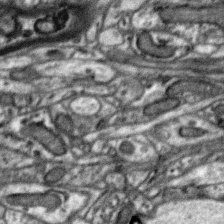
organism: Zebra finch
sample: Brain